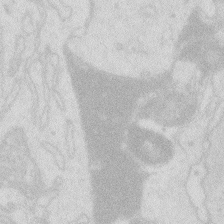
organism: Zebrafish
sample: Macrophage